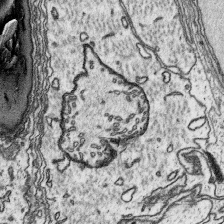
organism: Platynereis dumerilii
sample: Parapodia